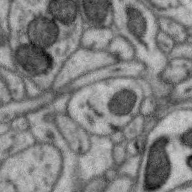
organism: Zebra finch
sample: Brain